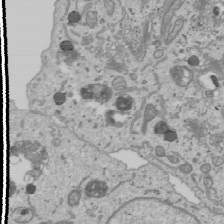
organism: Human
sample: Mitochondria in U2OS cells